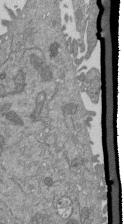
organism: Mouse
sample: ED-1 cell nuclei; centrioles